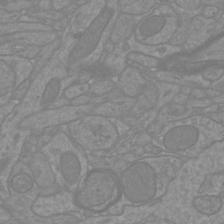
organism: Mouse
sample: Cortical neurons